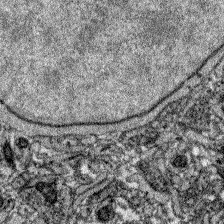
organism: Zebrafish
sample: Larval olfactory bulb